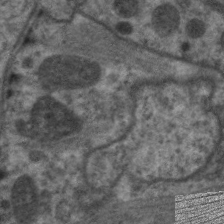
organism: C. elegans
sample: Pharynx